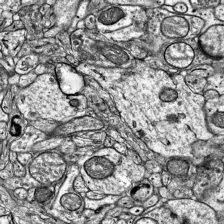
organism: Mouse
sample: Visual Cortex